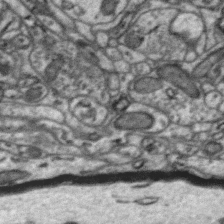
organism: Zebra finch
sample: Brain